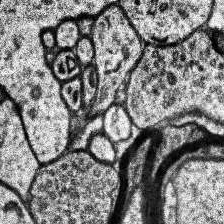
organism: Human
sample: Temporal Lobe